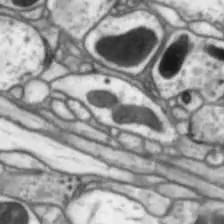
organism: Drosophila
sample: Optic lobe